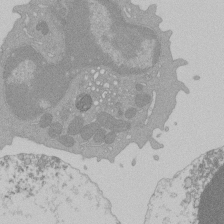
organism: Mouse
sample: Activated Pmel transgenic CD8+ T Cells